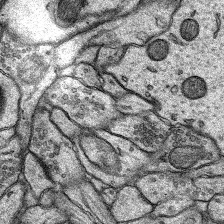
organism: Rat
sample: Hippocampus